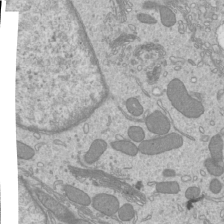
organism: Mouse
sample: Cilia; mouse epididymis